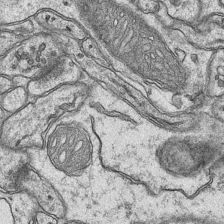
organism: Mouse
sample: CA1 Hippocampus